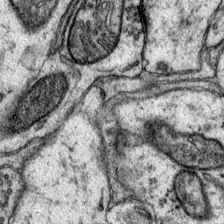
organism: Mouse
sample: Primary visual cortex